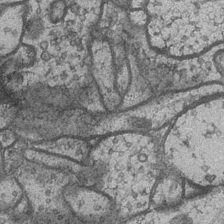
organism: Drosophila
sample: Optic medulla